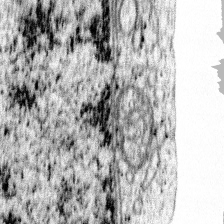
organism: Human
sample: HeLa cells